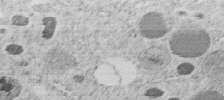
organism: C. elegans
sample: C. elegans embryo early stage